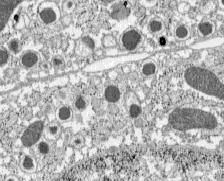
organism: C57BL Mouse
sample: Pancreatic islet